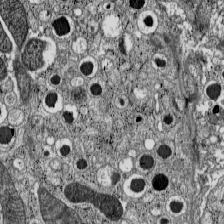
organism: C57BL Mouse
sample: Pancreatic islet